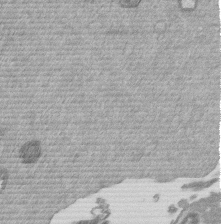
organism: Mouse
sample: Dividing mouse embryo 1 cell stage